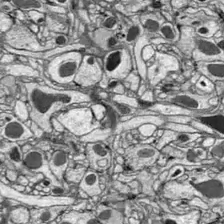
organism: Drosophila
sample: Optic lobe